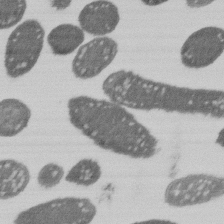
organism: E. coli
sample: Bacterial nucleoid